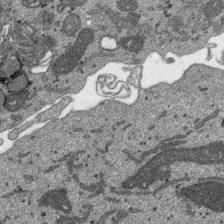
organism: Human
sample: Lung epithelial cells infected with SARS-CoV-2